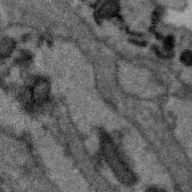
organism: Zebra finch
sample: Brain